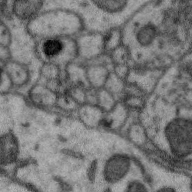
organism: Zebra finch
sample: Brain